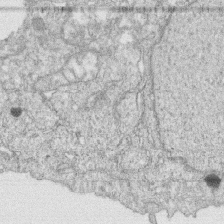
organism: Human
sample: HeLa cell HIV synapse